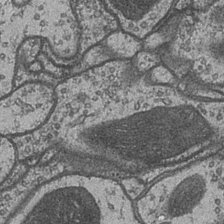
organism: Drosophila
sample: Optic medulla